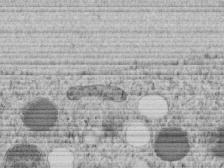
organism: C. elegans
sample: C. elegans embryo early stage